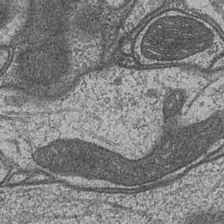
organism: Drosophila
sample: Optic medulla